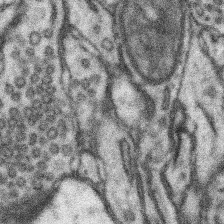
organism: Mouse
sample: Somatosensory cortex neuropil